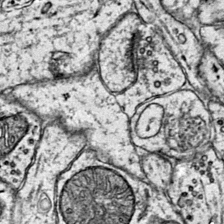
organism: Mouse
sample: Primary visual cortex